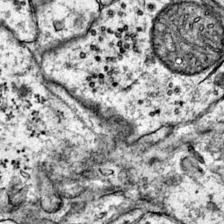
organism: Mouse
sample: Primary visual cortex